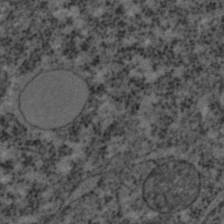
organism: C. elegans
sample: C. elegans embryo